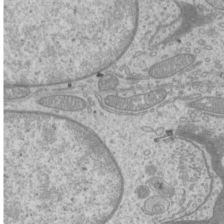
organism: Mouse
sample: Cilia; mouse epididymis